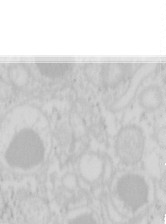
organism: Mouse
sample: Pancreas